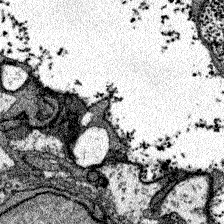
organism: Zebrafish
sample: Larval olfactory bulb